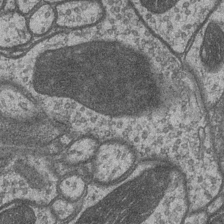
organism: Drosophila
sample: Optic medulla